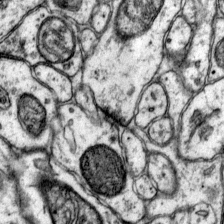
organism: Mouse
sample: Primary visual cortex